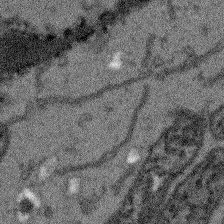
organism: Arabidopsis thaliana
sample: Root tip